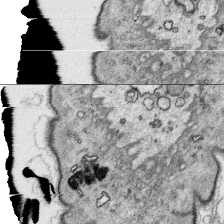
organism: Platynereis dumerilii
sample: Parapodia